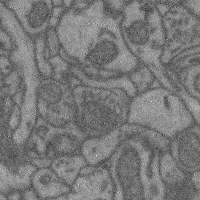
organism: Mouse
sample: Cerebral cortex